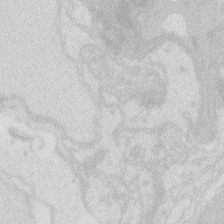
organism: Zebrafish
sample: Macrophage